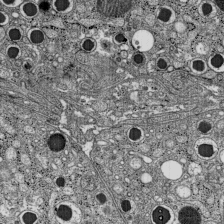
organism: C57BL Mouse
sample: Pancreatic islet